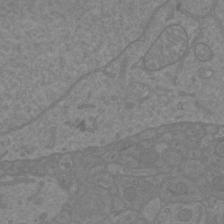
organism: Mouse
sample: Cortical neurons